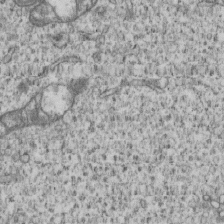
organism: Human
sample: MDA-MB-231 cells